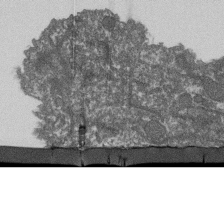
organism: Dictyostelium discoideum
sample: Dictyostelium multivesicular bodies